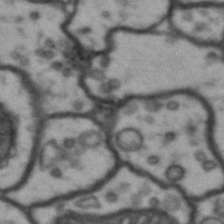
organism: Drosophila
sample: Brain